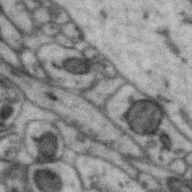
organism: Zebra finch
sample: Brain